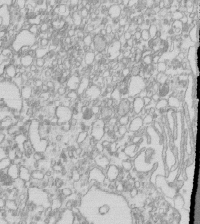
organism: Mouse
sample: Macrophages